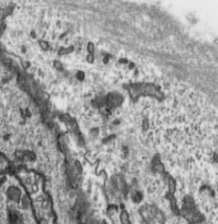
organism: Toxoplasma gondii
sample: Parasites in a vacuole inside a host cell